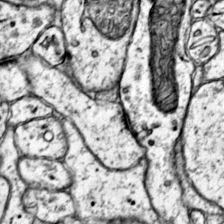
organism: Mouse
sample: Primary visual cortex